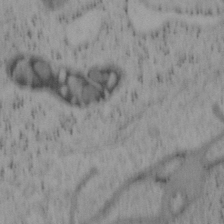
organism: Mouse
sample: OT-I killer T cells with ID8 ovarian cancer cells